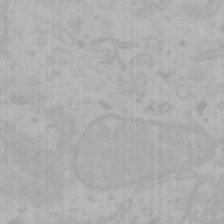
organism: Mouse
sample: Choroid plexus